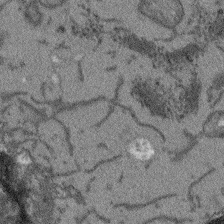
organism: Arabidopsis thaliana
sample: Root tip